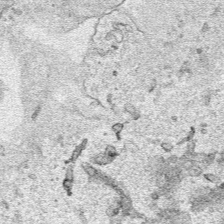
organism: Human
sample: Mitochondria in HCT116 cells